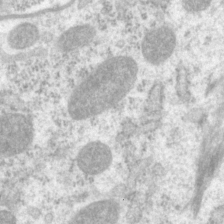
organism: P. pacificus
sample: Pharynx